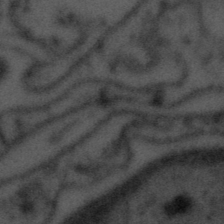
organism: Tuwongella immobilis